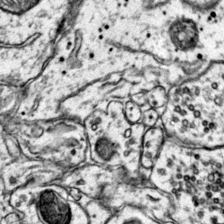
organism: Mouse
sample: Primary visual cortex